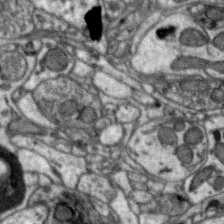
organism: Zebra finch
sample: Brain